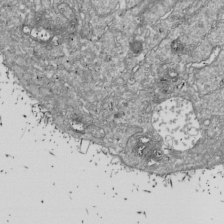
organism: Drosophila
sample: Cell division; meiosis; drosophila spermatocytes